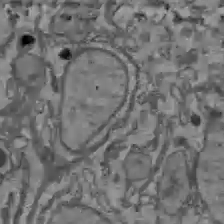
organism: C57BL Mouse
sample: Liver